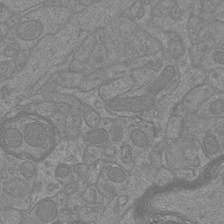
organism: Mouse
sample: Cortical neurons